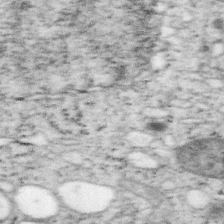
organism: Mouse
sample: OT-I killer T cells with ID8 ovarian cancer cells